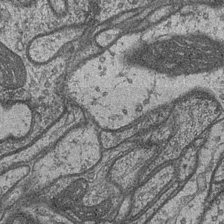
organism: Drosophila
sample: Optic medulla